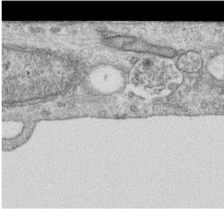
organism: Human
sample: Centriole in RPE cells